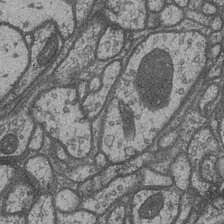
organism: Drosophila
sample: Optic medulla